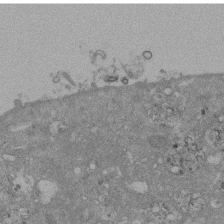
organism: Mouse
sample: ED-1 cell nuclei; centrioles